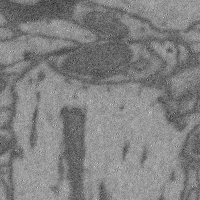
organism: Mouse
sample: Cerebral cortex